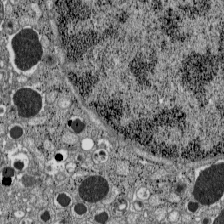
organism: C57BL Mouse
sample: Pancreatic islet